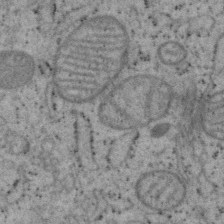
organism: Human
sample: HeLa cells